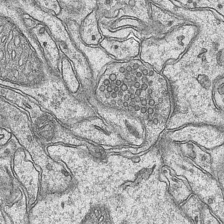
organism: Mouse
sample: CA1 Hippocampus